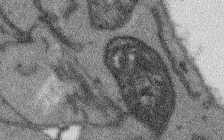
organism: Arabidopsis thaliana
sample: Root tip